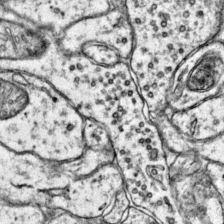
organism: Mouse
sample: Primary visual cortex